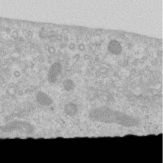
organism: Human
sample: Centriole in RPE cells